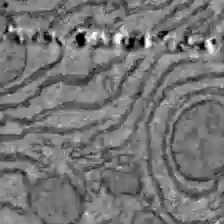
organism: C57BL Mouse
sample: Liver